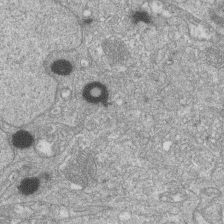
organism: Human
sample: HeLa cell HIV synapse